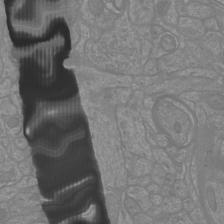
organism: Mouse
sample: Cortical neurons